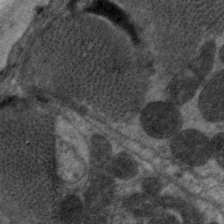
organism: C. elegans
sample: Pharynx